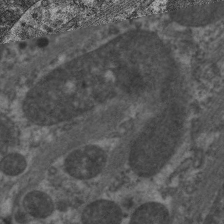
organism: C. elegans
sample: Pharynx